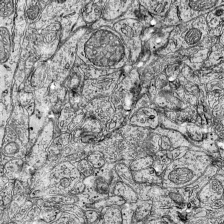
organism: Mouse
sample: Visual Cortex